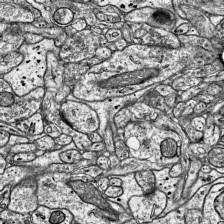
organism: Mouse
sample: Visual Cortex